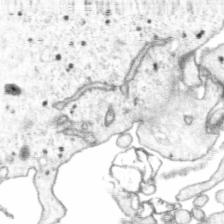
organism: Human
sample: HeLa cells